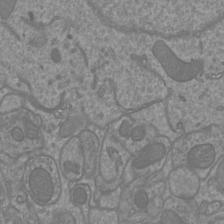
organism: Mouse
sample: Cortical neurons